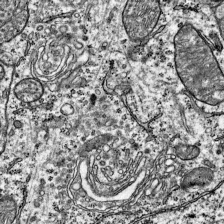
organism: Mouse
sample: Visual Cortex